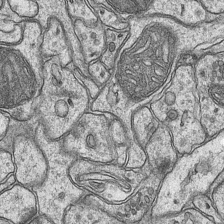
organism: Mouse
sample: CA1 Hippocampus